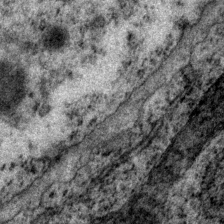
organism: P. pacificus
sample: Pharynx